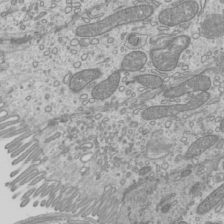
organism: Mouse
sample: Cilia; mouse epididymis